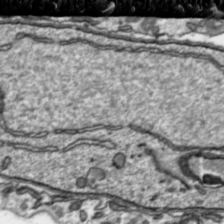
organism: Toxoplasma gondii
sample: Parasites in a vacuole inside a host cell